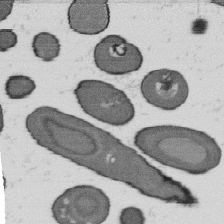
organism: B. subtilis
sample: Bacterial spore